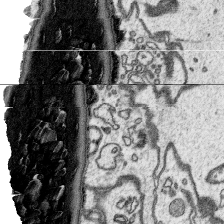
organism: Platynereis dumerilii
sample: Parapodia